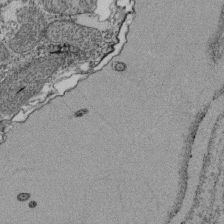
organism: Tetrahymena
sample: Cilia in tetrahymena